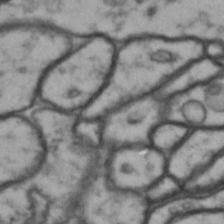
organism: Drosophila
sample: Brain